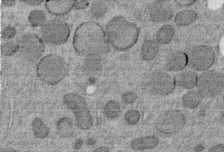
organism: C. elegans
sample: C. elegans embryo early stage